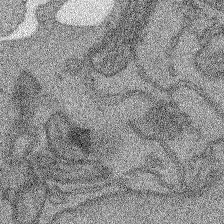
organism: Human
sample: HeLa cells